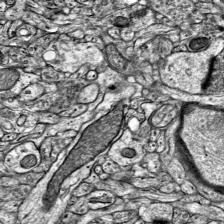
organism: Mouse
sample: Visual Cortex